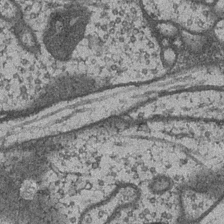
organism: Drosophila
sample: Optic medulla